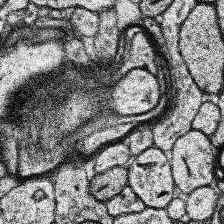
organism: Human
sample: Temporal Lobe